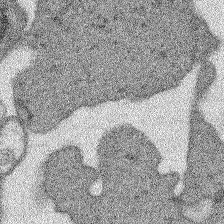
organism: Human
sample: HeLa cells